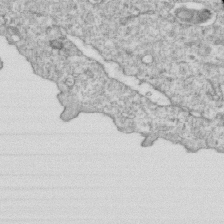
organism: Mouse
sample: Activated OT-1 CD8+ T cells